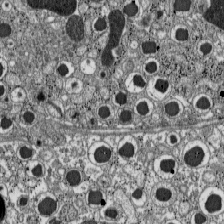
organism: C57BL Mouse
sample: Pancreatic islet